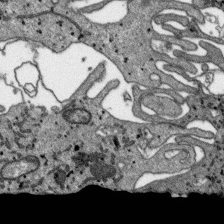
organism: Human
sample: Lung epithelial cells, uninfected (mock) control